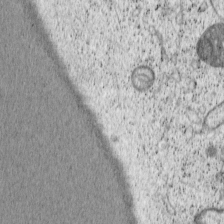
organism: African green monkey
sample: COS-7 cells